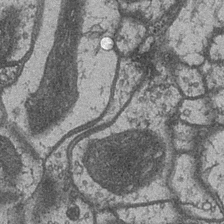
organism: Drosophila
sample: Optic medulla